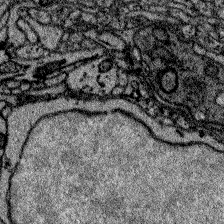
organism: Zebrafish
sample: Larval olfactory bulb